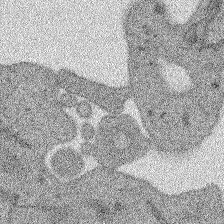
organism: Human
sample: HeLa cells